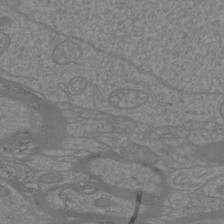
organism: Mouse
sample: Cortical neurons